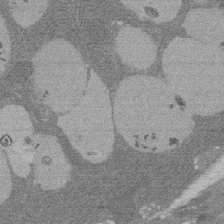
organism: Rat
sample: Salivary granule